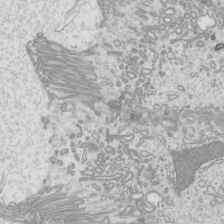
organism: Mouse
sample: Cilia; mouse epididymis